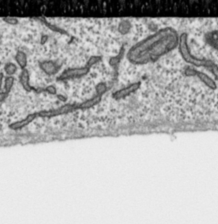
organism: Toxoplasma gondii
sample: Parasites in a vacuole inside a host cell